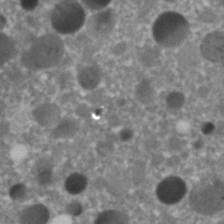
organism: C. elegans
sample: C. elegans embryo